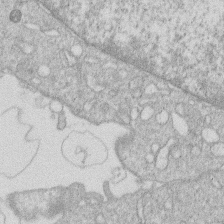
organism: Human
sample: Macrophage cells